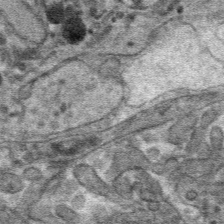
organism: Mouse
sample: Mouse hepatocytes